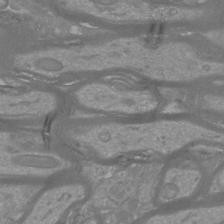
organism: Mouse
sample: Cortical neurons